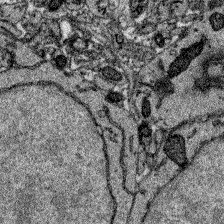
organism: Zebrafish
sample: Larval olfactory bulb